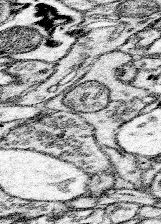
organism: Mouse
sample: Somatosensory cortex neuropil